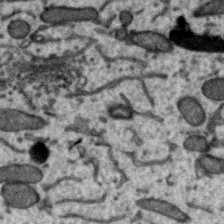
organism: Zebra finch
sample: Brain